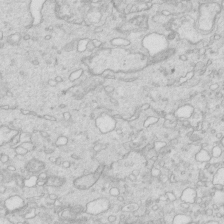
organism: Mouse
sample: Multiciliated cells